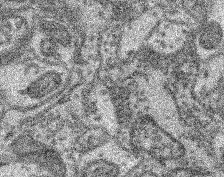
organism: Mouse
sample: Retina